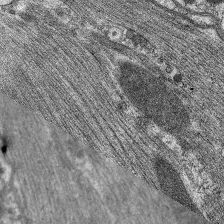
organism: C. elegans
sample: Pharynx